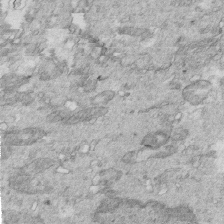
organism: Mouse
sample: Multiciliated cells